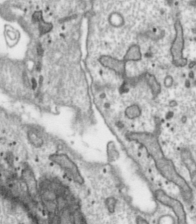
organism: Toxoplasma gondii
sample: Parasites in a vacuole inside a host cell